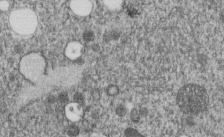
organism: C. elegans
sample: C. elegans embryo early stage